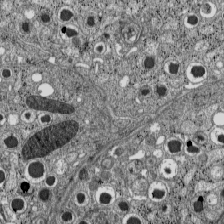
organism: C57BL Mouse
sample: Pancreatic islet